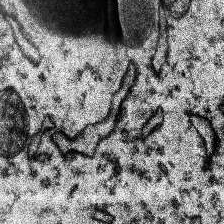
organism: Human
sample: Temporal Lobe